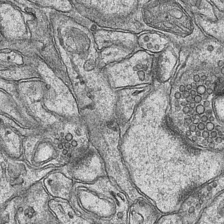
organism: Mouse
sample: CA1 Hippocampus